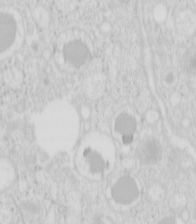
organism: Mouse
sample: Pancreas